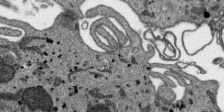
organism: Human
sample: Lung epithelial cells, uninfected (mock) control